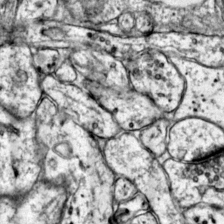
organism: Mouse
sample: Primary visual cortex